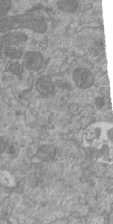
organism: Mouse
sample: ED-1 cell nuclei; centrioles